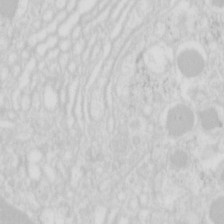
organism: Mouse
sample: Pancreas